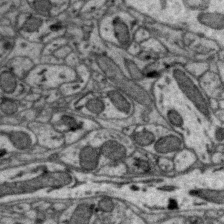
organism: Zebra finch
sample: Brain